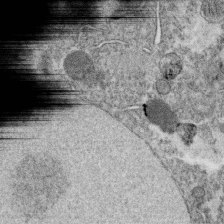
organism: C. elegans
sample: C. elegans oocyte; sperm cells